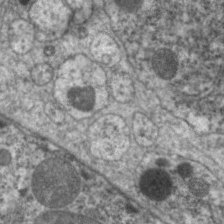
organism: C. elegans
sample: Pharynx